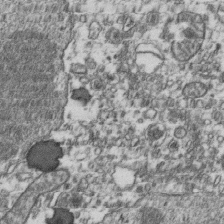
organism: Human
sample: Activated Jurkat CD4+ T cells